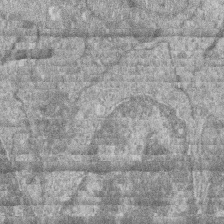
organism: Zebrafish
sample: Cilia; retinal pigment epithelium